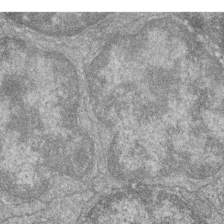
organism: Zebrafish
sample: Cilia; retinal pigment epithelium